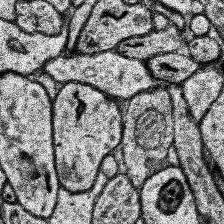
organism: Human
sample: Temporal Lobe